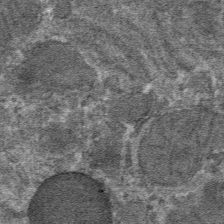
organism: Mouse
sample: Mouse hepatocytes